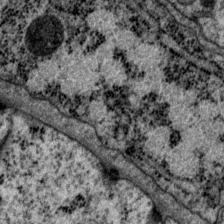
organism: P. pacificus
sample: Pharynx